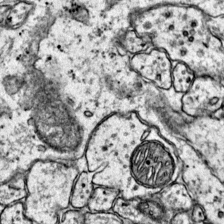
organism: Mouse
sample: Primary visual cortex